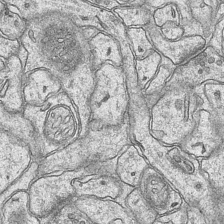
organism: Mouse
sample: CA1 Hippocampus